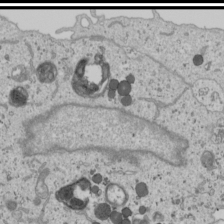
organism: Human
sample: Mitochondria in U2OS cells